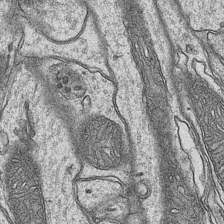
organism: Mouse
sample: CA1 Hippocampus